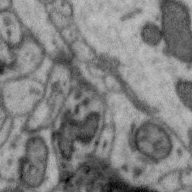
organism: Zebra finch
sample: Brain